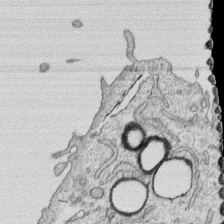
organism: Human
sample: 1205lu cells